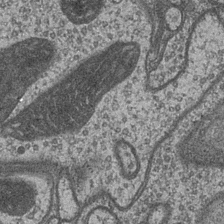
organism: Drosophila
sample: Optic medulla